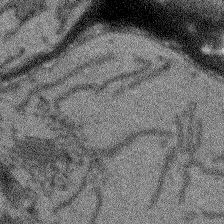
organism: Arabidopsis thaliana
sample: Root tip